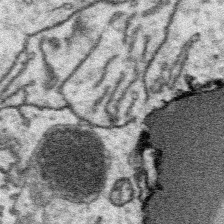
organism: Platynereis dumerilii